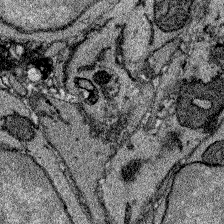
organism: Zebrafish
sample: Larval olfactory bulb